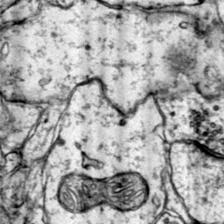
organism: Mouse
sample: Primary visual cortex